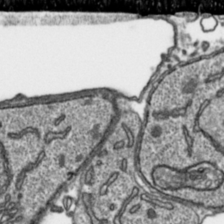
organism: Toxoplasma gondii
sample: Parasites in a vacuole inside a host cell